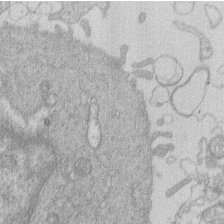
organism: Human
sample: Macrophage cells